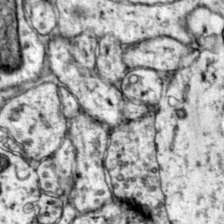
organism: Mouse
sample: Primary visual cortex